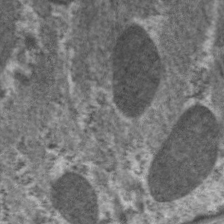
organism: C. elegans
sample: Pharynx